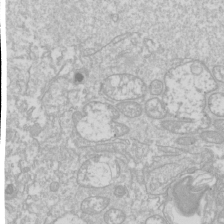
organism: Drosophila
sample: Cell division; meiosis; drosophila spermatocytes